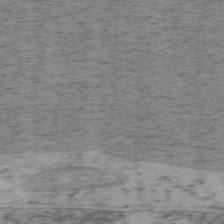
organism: Mouse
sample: OT-I killer T cells with ID8 ovarian cancer cells